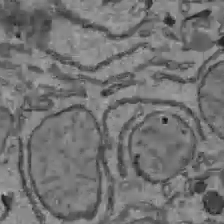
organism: C57BL Mouse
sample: Liver